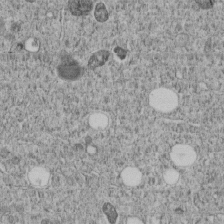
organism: C. elegans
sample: C. elegans embryo early stage